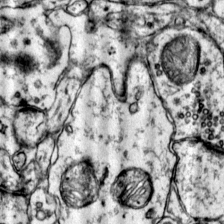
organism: Mouse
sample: Primary visual cortex